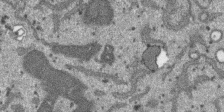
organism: Human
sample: Lung epithelial cells infected with SARS-CoV-2